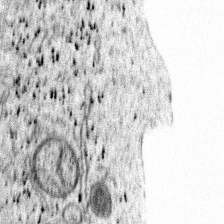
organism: Human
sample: HeLa cells